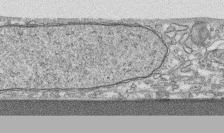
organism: Human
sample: CRL-1474